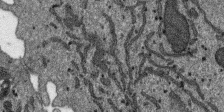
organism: Human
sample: Lung epithelial cells infected with SARS-CoV-2